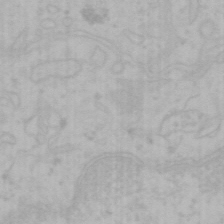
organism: Mouse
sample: Choroid plexus